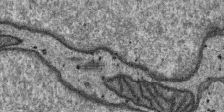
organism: Human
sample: Lung epithelial cells, uninfected (mock) control